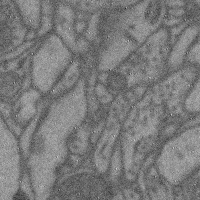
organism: Mouse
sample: Cerebral cortex